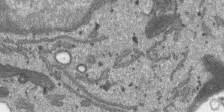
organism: Human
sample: Lung epithelial cells infected with SARS-CoV-2